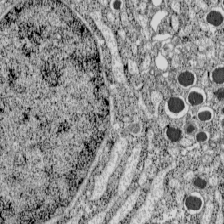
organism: C57BL Mouse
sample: Pancreatic islet